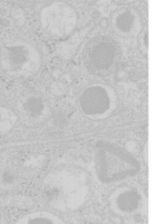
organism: Mouse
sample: Pancreas